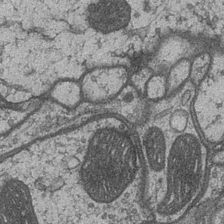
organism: Drosophila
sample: Optic medulla